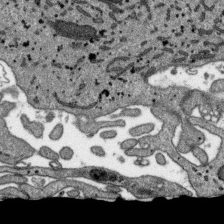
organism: Human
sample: Lung epithelial cells, uninfected (mock) control